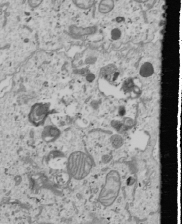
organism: Human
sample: Mitochondria in U2OS cells